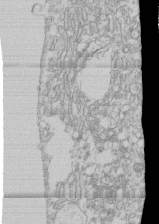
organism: Human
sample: CRL-1474